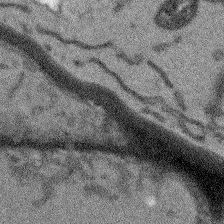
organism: Arabidopsis thaliana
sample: Root tip